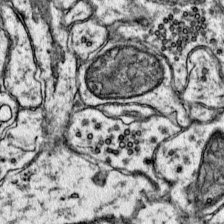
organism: Mouse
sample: Primary visual cortex